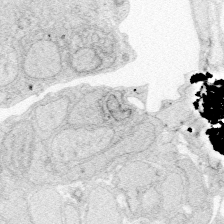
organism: Zebrafish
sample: Whole-Brain